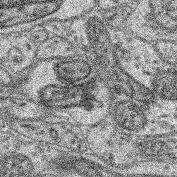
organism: Mouse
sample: Retina